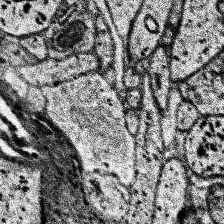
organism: Human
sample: Temporal Lobe